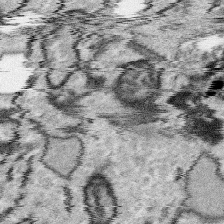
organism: Human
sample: HeLa cells